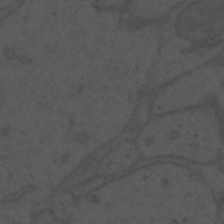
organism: Mouse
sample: Suprachiasmatic nucleus